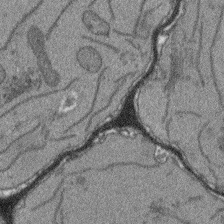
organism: Arabidopsis thaliana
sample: Root tip